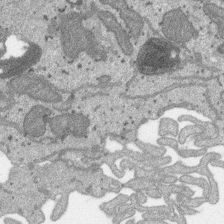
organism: Human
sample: Lung epithelial cells infected with SARS-CoV-2